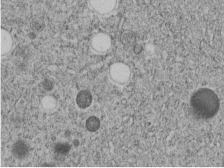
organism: C. elegans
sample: C. elegans embryo early stage